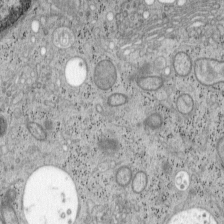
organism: Mouse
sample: OT-I killer T cells with ID8 ovarian cancer cells